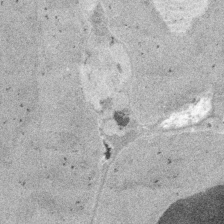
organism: Embia sp.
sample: Silk gland